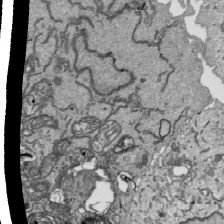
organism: Human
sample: Mitochondria in HCT116 cells